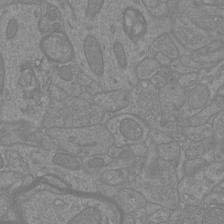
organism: Mouse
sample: Cortical neurons